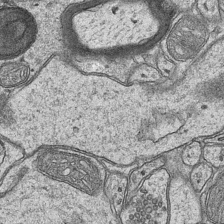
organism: Mouse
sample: CA1 Hippocampus